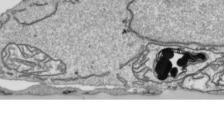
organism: Human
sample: Mitochondria in HCT116 cells